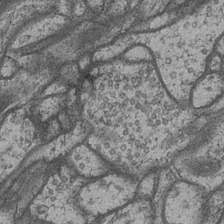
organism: Drosophila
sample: Optic medulla